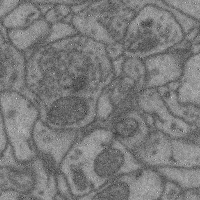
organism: Mouse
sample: Cerebral cortex